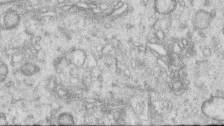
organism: Human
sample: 1205lu cells